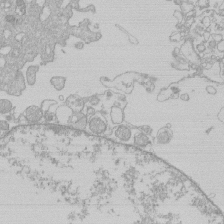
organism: Human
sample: Macrophage cells